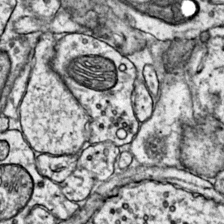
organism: Mouse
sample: Primary visual cortex